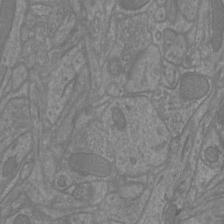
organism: Mouse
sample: Cortical neurons